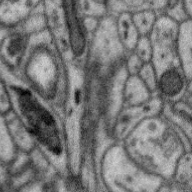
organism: Zebra finch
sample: Brain